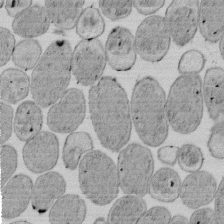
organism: E. coli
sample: Bacterial nucleoid